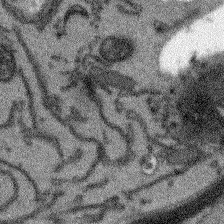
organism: Arabidopsis thaliana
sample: Root tip